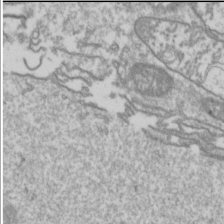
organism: Drosophila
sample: Cell division; meiosis; drosophila spermatocytes